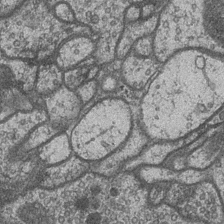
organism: Drosophila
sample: Optic medulla